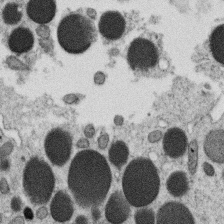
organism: C. elegans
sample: C. elegans oocyte; sperm cells